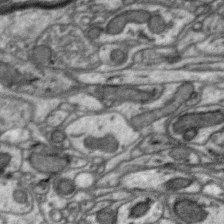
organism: Zebra finch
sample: Brain